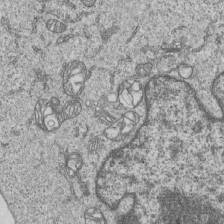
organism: Human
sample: MDA-MB-231 cells